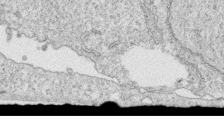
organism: Human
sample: HeLa cell HIV synapse